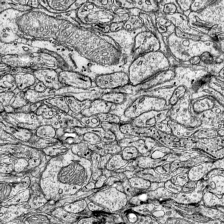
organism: Mouse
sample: Visual Cortex